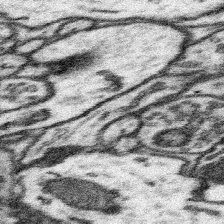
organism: Mouse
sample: Somatosensory cortex neuropil